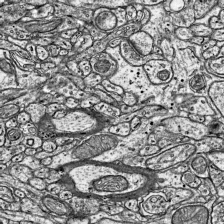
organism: Mouse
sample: Visual Cortex